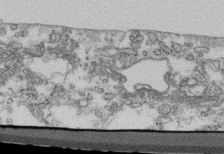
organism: Mouse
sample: Cilia; retinal pigment epithelium